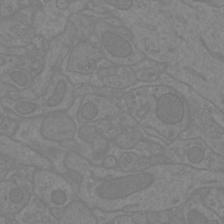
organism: Mouse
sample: Cortical neurons